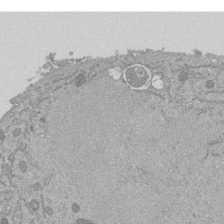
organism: Mouse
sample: ED-1 cell nuclei; centrioles